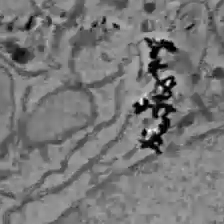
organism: C57BL Mouse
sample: Liver